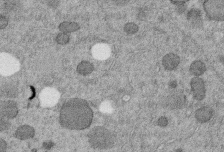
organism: C. elegans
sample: C. elegans embryo early stage